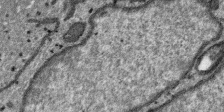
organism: Human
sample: Lung epithelial cells, uninfected (mock) control